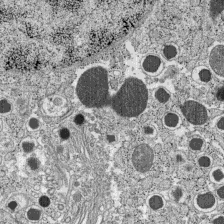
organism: C57BL Mouse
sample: Pancreatic islet